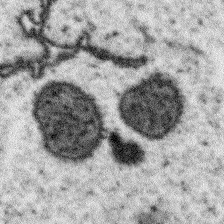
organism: Arabidopsis thaliana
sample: Root tip